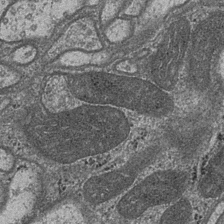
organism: Drosophila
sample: Optic medulla